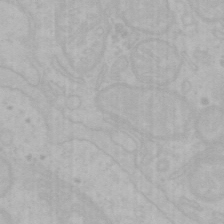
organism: Mouse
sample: Choroid plexus